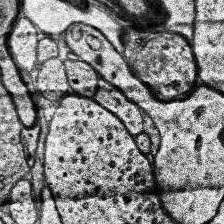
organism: Human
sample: Temporal Lobe